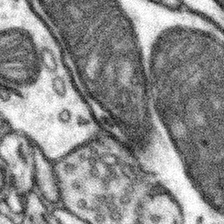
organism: Mouse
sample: Somatosensory cortex neuropil